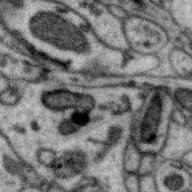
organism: Zebra finch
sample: Brain